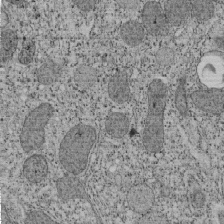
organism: Tetrahymena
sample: Cilia in tetrahymena